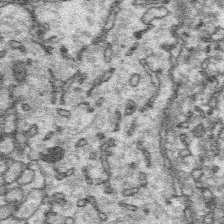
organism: Platynereis dumerilii